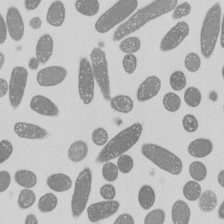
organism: E. coli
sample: Bacterial nucleoid